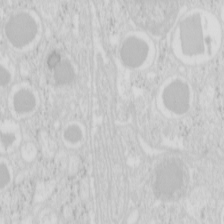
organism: Mouse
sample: Pancreas